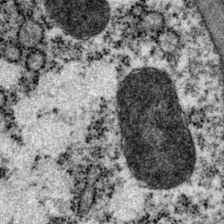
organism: P. pacificus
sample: Pharynx